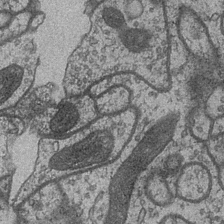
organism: Drosophila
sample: Optic medulla